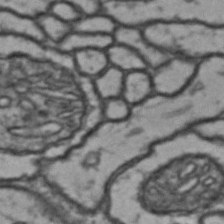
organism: Drosophila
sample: Brain